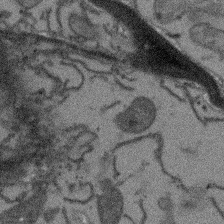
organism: Arabidopsis thaliana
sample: Root tip